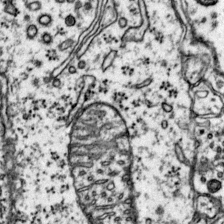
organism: Mouse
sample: Primary visual cortex